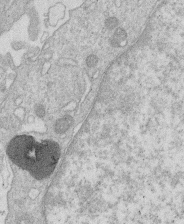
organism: Human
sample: Macrophage cells